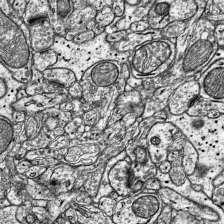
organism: Mouse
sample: Visual Cortex